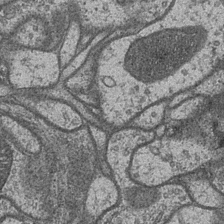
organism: Drosophila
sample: Optic medulla